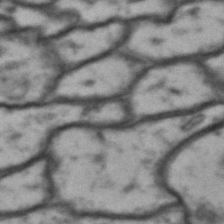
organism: Drosophila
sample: Brain